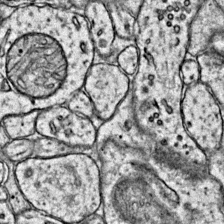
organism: Mouse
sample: Primary visual cortex